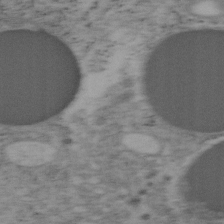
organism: Mouse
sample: OT-I killer T cells with ID8 ovarian cancer cells